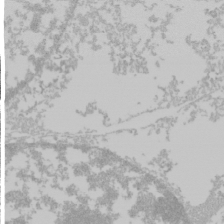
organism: Mouse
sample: Cancer cell death in ED-1 cells